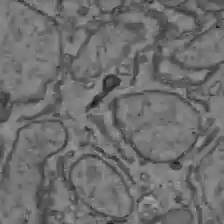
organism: C57BL Mouse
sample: Liver